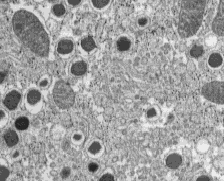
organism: C57BL Mouse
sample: Pancreatic islet